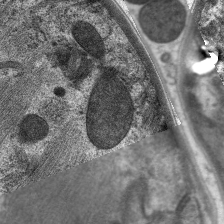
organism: C. elegans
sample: Pharynx